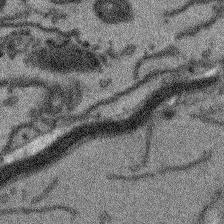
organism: Arabidopsis thaliana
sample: Root tip